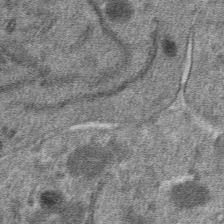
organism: Mouse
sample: Mouse hepatocytes